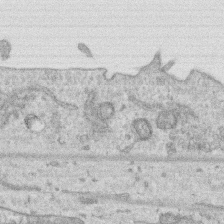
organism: Human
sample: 1205lu cells